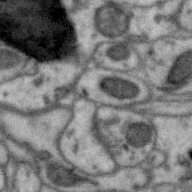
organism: Zebra finch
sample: Brain